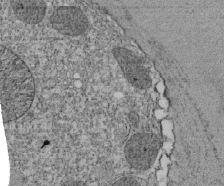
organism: Tetrahymena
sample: Cilia in tetrahymena